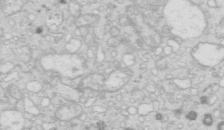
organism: Mouse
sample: Multiciliated cells